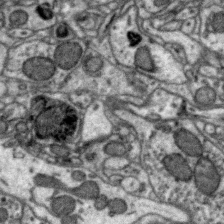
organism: Zebra finch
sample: Brain